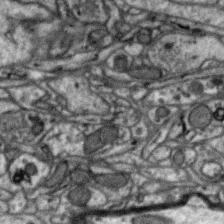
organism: Zebra finch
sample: Brain